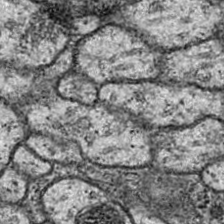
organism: Drosophila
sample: Ventral Nerve Cord